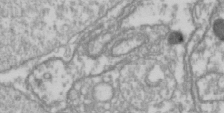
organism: Drosophila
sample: Cell division; meiosis; drosophila spermatocytes